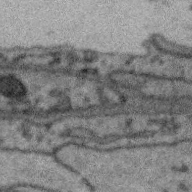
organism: Zebra finch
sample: Brain